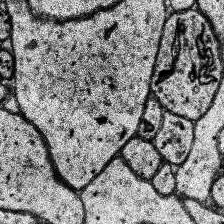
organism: Human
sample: Temporal Lobe